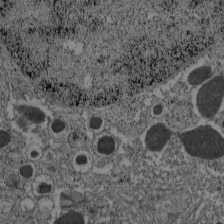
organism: C57BL Mouse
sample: Pancreatic islet